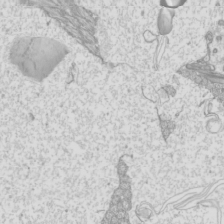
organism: Mouse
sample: Cilia; mouse epididymis